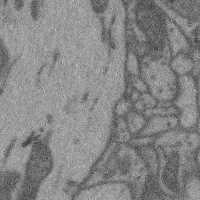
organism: Mouse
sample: Cerebral cortex